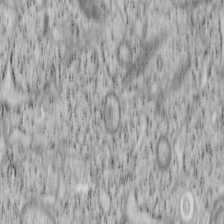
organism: Human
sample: HeLa cells